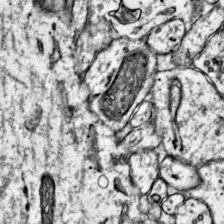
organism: Mouse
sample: Primary visual cortex